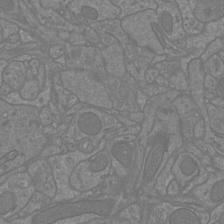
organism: Mouse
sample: Cortical neurons